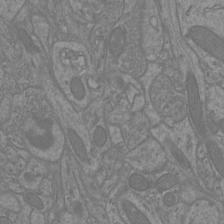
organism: Mouse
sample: Cortical neurons